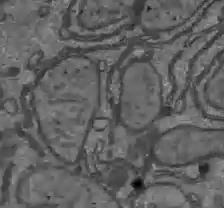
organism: C57BL Mouse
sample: Liver